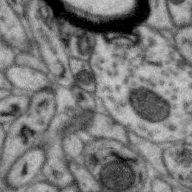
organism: Zebra finch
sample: Brain